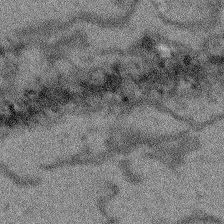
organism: Arabidopsis thaliana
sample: Root tip